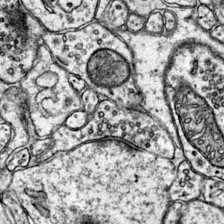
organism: Mouse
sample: Primary visual cortex